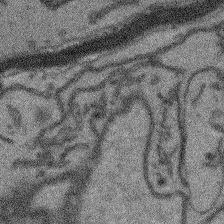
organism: Arabidopsis thaliana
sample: Root tip